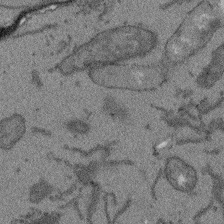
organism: Arabidopsis thaliana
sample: Root tip